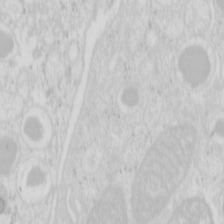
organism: Mouse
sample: Pancreas